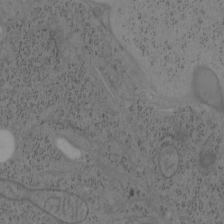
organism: Mouse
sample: OT-I killer T cells with ID8 ovarian cancer cells